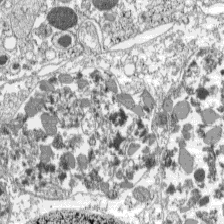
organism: C57BL Mouse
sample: Pancreatic islet